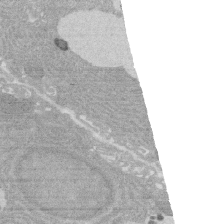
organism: Rat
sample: Salivary granule